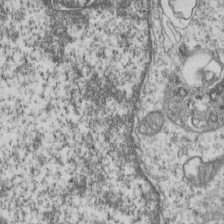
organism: Human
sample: MDA-MB-231 cells